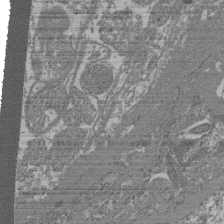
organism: Mouse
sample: Glomerulus